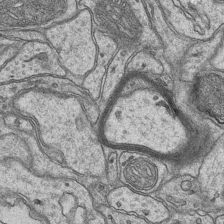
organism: Mouse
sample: CA1 Hippocampus